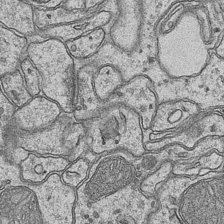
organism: Mouse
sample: CA1 Hippocampus